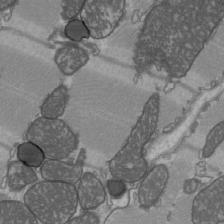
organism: C57BL Mouse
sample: Heart